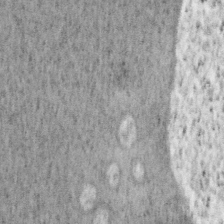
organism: Mouse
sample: OT-I killer T cells with ID8 ovarian cancer cells